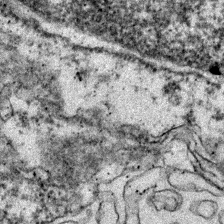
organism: Zebrafish